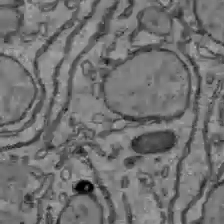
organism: C57BL Mouse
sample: Liver